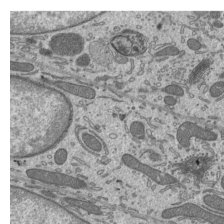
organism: Mouse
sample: Mouse epididymis efferent ductule cilia